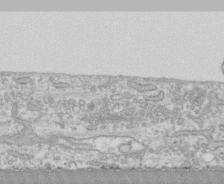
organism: Human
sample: CRL-1474